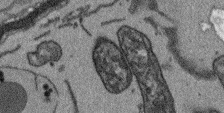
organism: Arabidopsis thaliana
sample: Root tip